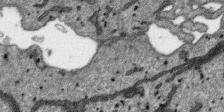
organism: Human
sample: Lung epithelial cells, uninfected (mock) control